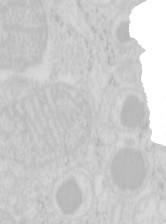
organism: Mouse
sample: Pancreas